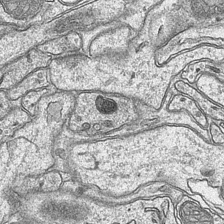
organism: Mouse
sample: CA1 Hippocampus